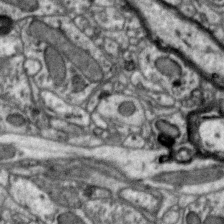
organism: Zebra finch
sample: Brain